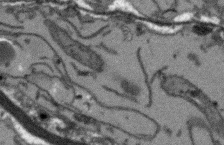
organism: Arabidopsis thaliana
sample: Root tip